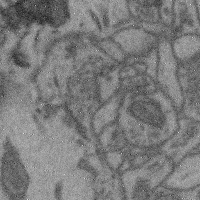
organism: Mouse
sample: Cerebral cortex